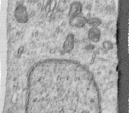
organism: Human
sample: Centriole in RPE cells